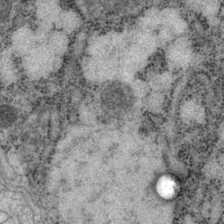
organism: P. pacificus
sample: Pharynx